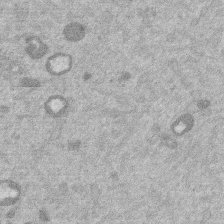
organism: Mouse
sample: Dividing mouse embryo 1 cell stage